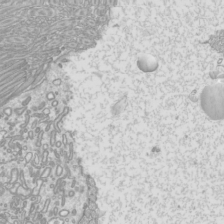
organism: Mouse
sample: Cilia; mouse epididymis